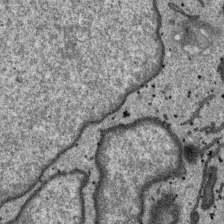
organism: Human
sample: Lung epithelial cells, uninfected (mock) control